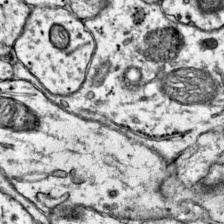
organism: Mouse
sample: Primary visual cortex